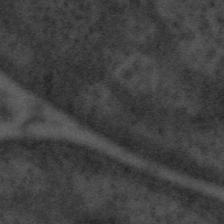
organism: Tuwongella immobilis